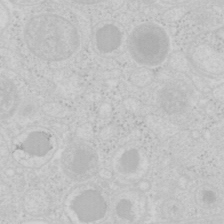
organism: Mouse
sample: Pancreas